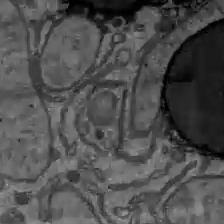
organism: C57BL Mouse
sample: Liver